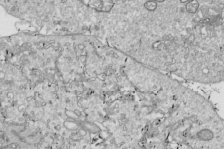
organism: Drosophila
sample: Cell division; meiosis; drosophila spermatocytes